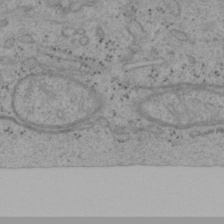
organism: Human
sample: HeLa cells